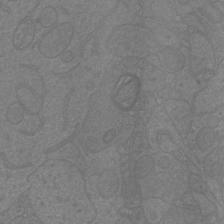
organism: Mouse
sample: Cortical neurons